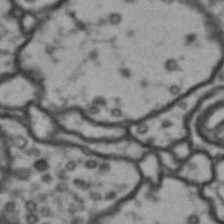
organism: Drosophila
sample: Brain